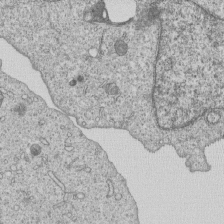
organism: Human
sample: MDA-MB-231 cells